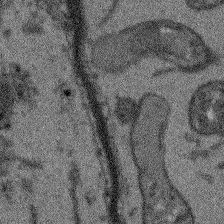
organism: Arabidopsis thaliana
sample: Root tip